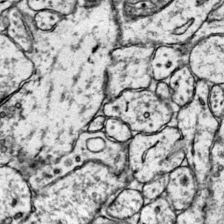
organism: Mouse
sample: Primary visual cortex